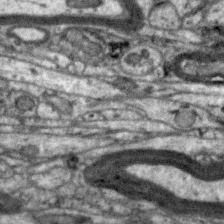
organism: Zebra finch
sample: Brain